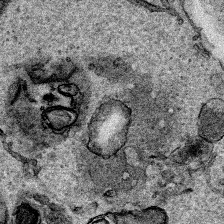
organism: Human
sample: Mitochondria in HCT116 cells